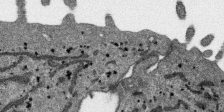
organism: Human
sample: Lung epithelial cells, uninfected (mock) control